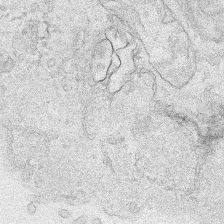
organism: Human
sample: Mitochondria in HCT116 cells